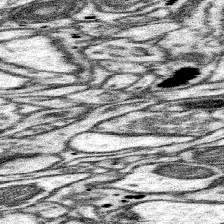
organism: Mouse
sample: Somatosensory cortex neuropil